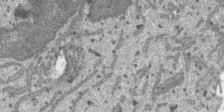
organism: Human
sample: Lung epithelial cells infected with SARS-CoV-2